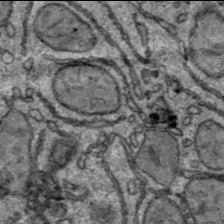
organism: C57BL Mouse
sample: Liver